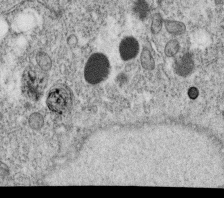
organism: C. elegans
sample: C. elegans oocyte; sperm cells